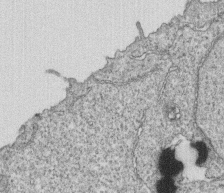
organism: Human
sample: HeLa cell HIV synapse